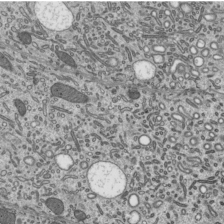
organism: Mouse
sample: Mouse epididymis efferent ductule cilia